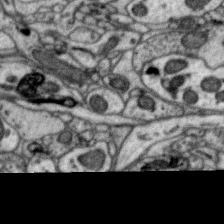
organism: Zebra finch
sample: Brain